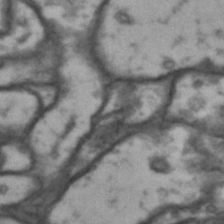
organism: Drosophila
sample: Brain